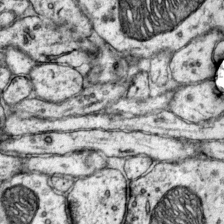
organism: Mouse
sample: Primary visual cortex